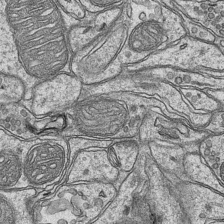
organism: Mouse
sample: CA1 Hippocampus